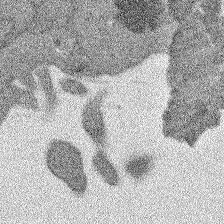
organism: Human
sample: HeLa cells